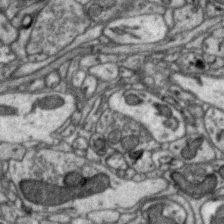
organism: Zebra finch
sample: Brain